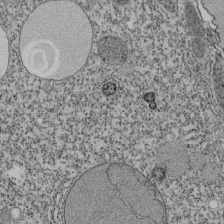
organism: Tetrahymena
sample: Cilia in tetrahymena